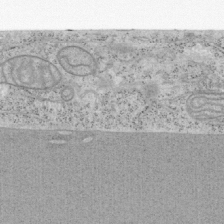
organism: Human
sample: HeLa cells